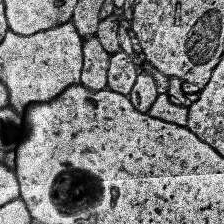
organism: Human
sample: Temporal Lobe